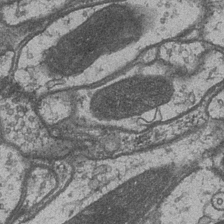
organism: Drosophila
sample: Optic medulla